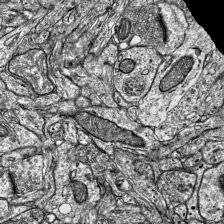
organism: Mouse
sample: Visual Cortex